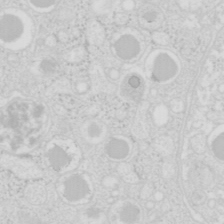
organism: Mouse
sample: Pancreas